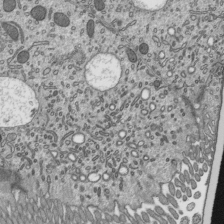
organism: Mouse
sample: Mouse epididymis efferent ductule cilia